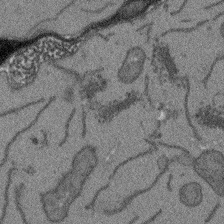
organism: Arabidopsis thaliana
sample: Root tip